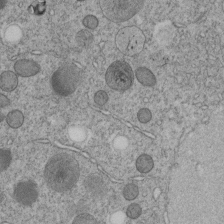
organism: C. elegans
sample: C. elegans embryo early stage